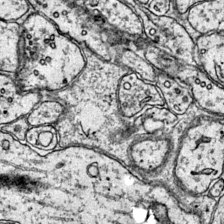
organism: Mouse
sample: Primary visual cortex